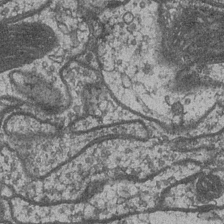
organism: Drosophila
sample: Optic medulla